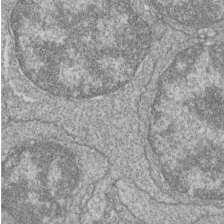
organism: Zebrafish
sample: Cilia; retinal pigment epithelium